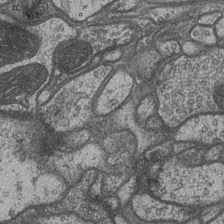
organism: Drosophila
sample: Optic medulla